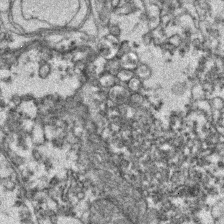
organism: Zebrafish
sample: Zebrafish embryo